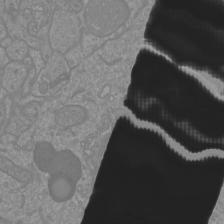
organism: Mouse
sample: Cortical neurons